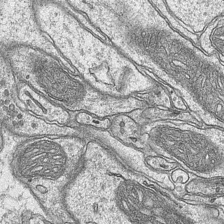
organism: Mouse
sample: CA1 Hippocampus